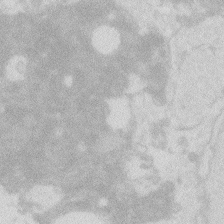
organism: Zebrafish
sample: Macrophage